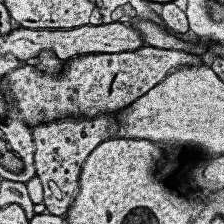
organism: Human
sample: Temporal Lobe